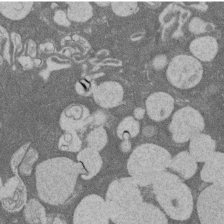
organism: Rat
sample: Salivary granule